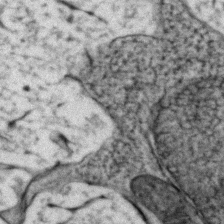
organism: Zebrafish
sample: Zebrafish embryo